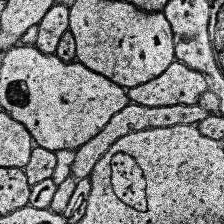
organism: Human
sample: Temporal Lobe